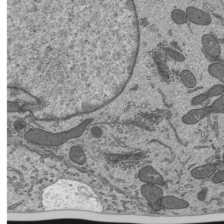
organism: Mouse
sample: Mouse epididymis efferent ductule cilia